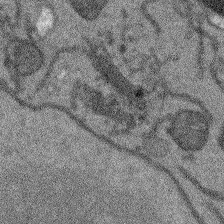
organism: Arabidopsis thaliana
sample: Root tip